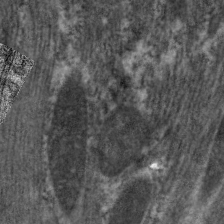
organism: C. elegans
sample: Pharynx